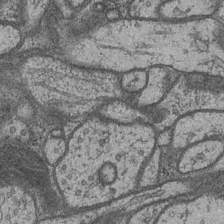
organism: Drosophila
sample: Optic medulla